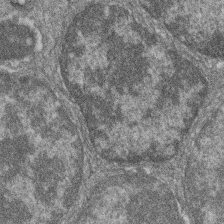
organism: Zebrafish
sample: Cilia; retinal pigment epithelium